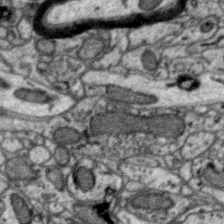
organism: Zebra finch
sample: Brain